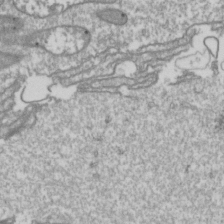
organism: Drosophila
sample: Cell division; meiosis; drosophila spermatocytes